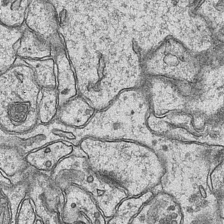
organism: Mouse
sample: CA1 Hippocampus